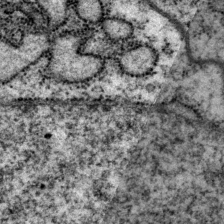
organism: P. pacificus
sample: Pharynx